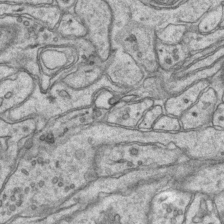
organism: Mouse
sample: CA1 Hippocampus